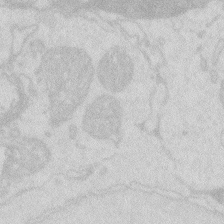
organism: Zebrafish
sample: Macrophage